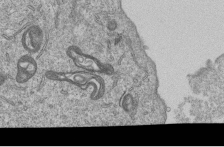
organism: Human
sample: MDA-MB-231 cells